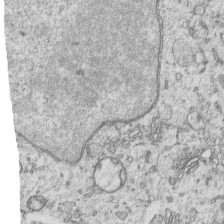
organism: Human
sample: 1205lu cells